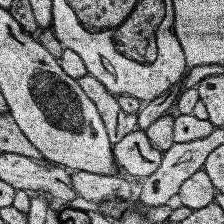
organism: Human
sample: Temporal Lobe